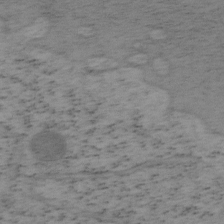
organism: Mouse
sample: OT-I killer T cells with ID8 ovarian cancer cells